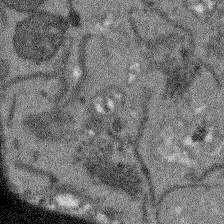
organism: Arabidopsis thaliana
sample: Root tip